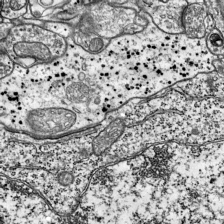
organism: Mouse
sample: Visual Cortex